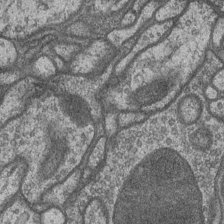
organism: Drosophila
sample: Optic medulla